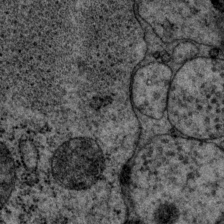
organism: P. pacificus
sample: Pharynx